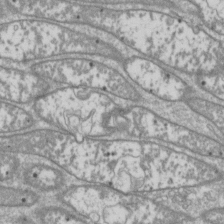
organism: Drosophila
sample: Cell division; meiosis; drosophila spermatocytes